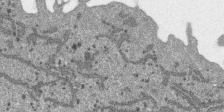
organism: Human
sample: Lung epithelial cells infected with SARS-CoV-2